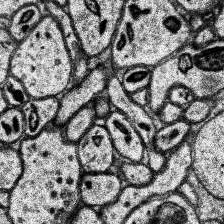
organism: Human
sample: Temporal Lobe